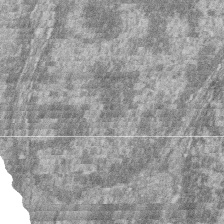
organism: Zebrafish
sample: Cilia; retinal pigment epithelium